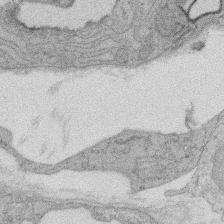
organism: Rat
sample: Salivary granule